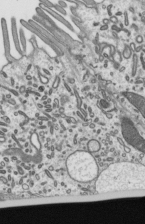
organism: Mouse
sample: Mouse epididymis efferent ductule cilia